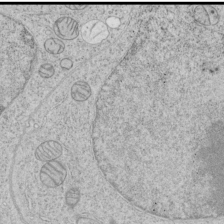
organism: Human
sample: Mitochondria in HCT116 cells